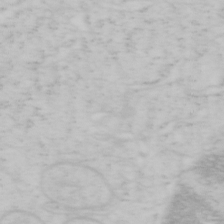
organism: Mouse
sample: OT-I killer T cells with ID8 ovarian cancer cells